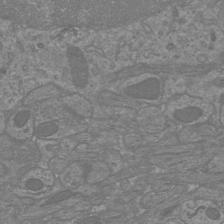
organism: Mouse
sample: Cortical neurons